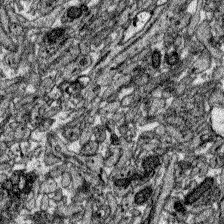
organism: Zebrafish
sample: Larval olfactory bulb